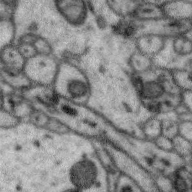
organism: Zebra finch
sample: Brain